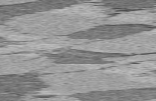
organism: C57BL Mouse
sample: Heart